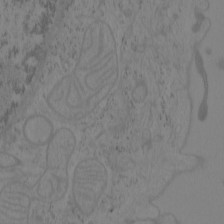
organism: Human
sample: HeLa cells